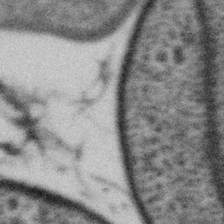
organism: Gemmata obscuriglobus